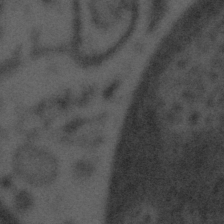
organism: Tuwongella immobilis